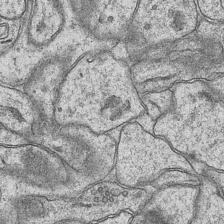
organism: Mouse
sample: CA1 Hippocampus